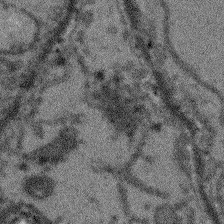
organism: Arabidopsis thaliana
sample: Root tip